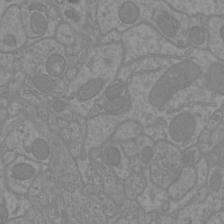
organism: Mouse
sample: Cortical neurons